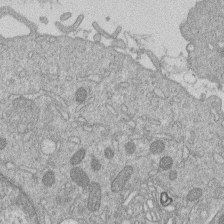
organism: Human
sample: Macrophage cells